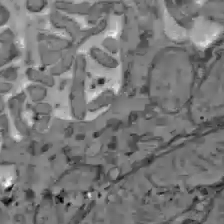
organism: C57BL Mouse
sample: Liver